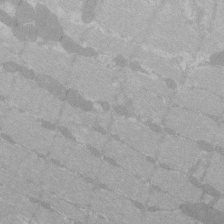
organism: C57BL Mouse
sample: Tibialis anterior muscle cell